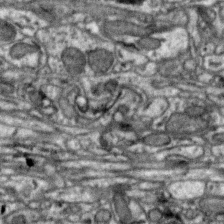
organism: Zebra finch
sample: Brain